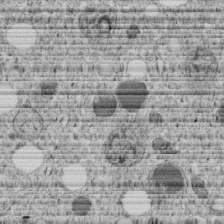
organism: C. elegans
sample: C. elegans embryo early stage